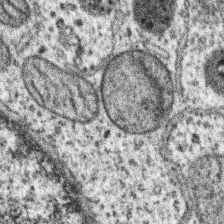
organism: Human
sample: HeLa cells